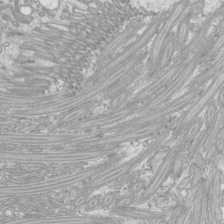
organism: Mouse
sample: Cilia; mouse epididymis